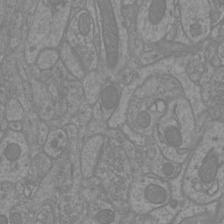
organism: Mouse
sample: Cortical neurons